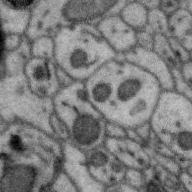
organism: Zebra finch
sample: Brain